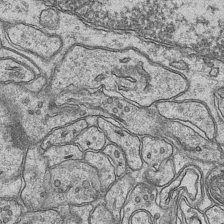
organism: Mouse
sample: CA1 Hippocampus